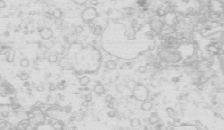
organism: Mouse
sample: Multiciliated cells